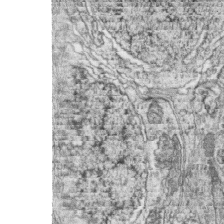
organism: Zebrafish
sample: synaptic ribbons in rod cells and cone cells